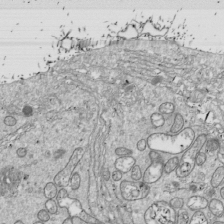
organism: Drosophila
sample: Cell division; meiosis; drosophila spermatocytes